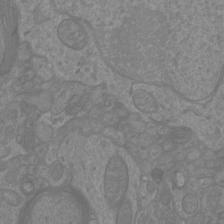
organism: Mouse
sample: Cortical neurons